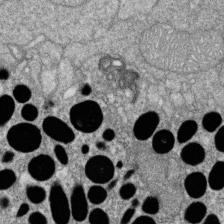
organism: Zebrafish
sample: Cilia; retinal pigment epithelium